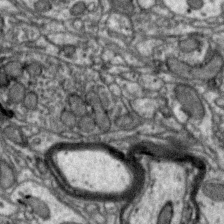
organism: Zebra finch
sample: Brain